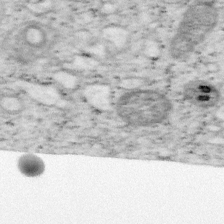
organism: Mouse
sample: OT-I killer T cells with ID8 ovarian cancer cells